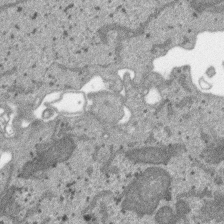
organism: Human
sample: Lung epithelial cells infected with SARS-CoV-2